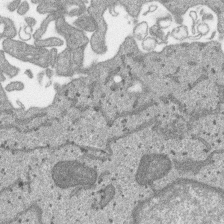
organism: Human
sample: Lung epithelial cells infected with SARS-CoV-2